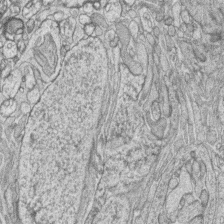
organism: Zebrafish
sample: synaptic ribbons in rod cells and cone cells